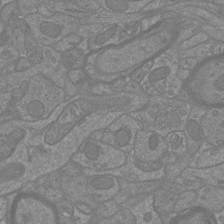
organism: Mouse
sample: Cortical neurons